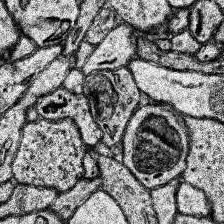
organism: Human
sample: Temporal Lobe